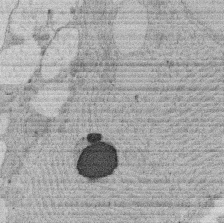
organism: Rat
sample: Salivary granule